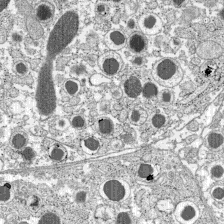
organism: C57BL Mouse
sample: Pancreatic islet